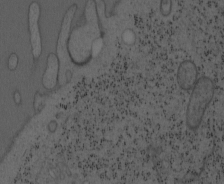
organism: Mouse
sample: OT-I killer T cells with ID8 ovarian cancer cells